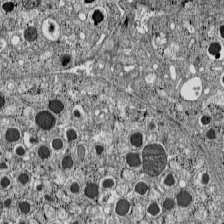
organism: C57BL Mouse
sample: Pancreatic islet